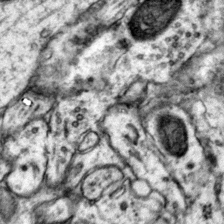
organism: Mouse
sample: Primary visual cortex